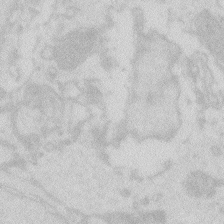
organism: Zebrafish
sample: Macrophage